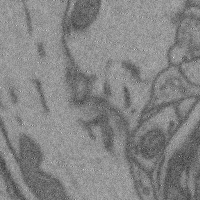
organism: Mouse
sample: Cerebral cortex